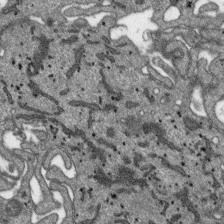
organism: Human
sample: Lung epithelial cells, uninfected (mock) control